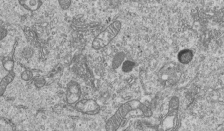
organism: Human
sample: MDA-MB-231 cells